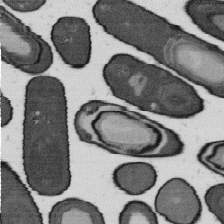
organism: B. subtilis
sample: Bacterial spore